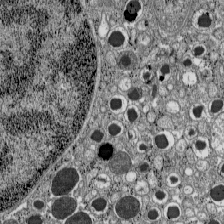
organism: C57BL Mouse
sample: Pancreatic islet